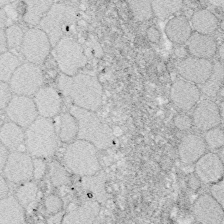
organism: Zebrafish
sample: Whole-Brain